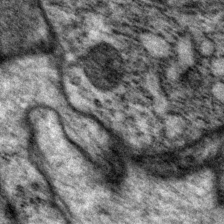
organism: P. pacificus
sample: Pharynx